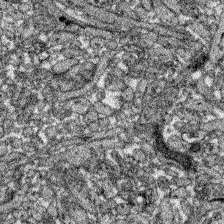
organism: Zebrafish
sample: Larval olfactory bulb